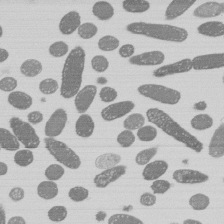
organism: E. coli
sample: Bacterial nucleoid